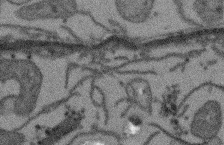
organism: Arabidopsis thaliana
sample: Root tip